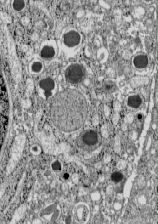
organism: C57BL Mouse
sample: Pancreatic islet